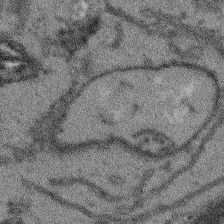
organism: Arabidopsis thaliana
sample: Root tip